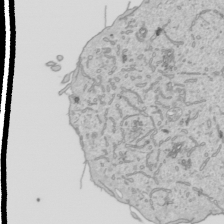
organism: Human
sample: Mitochondria in HCT116 cells